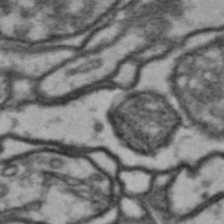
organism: Drosophila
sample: Brain